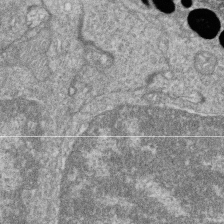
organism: Zebrafish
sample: Cilia; retinal pigment epithelium